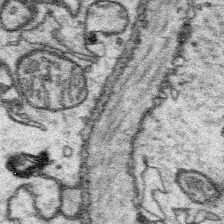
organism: Platynereis dumerilii